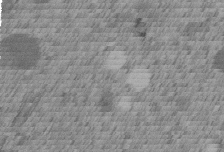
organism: C. elegans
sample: C. elegans embryo early stage